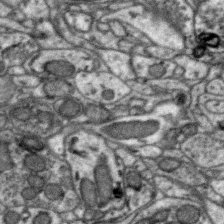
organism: Zebra finch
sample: Brain